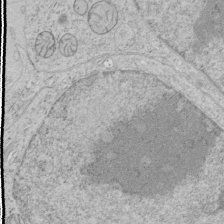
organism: Human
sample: Mitochondria in HCT116 cells